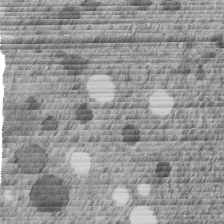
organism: C. elegans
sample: C. elegans embryo early stage